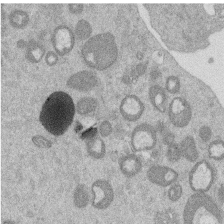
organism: Mouse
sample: Dividing mouse embryo 1 cell stage